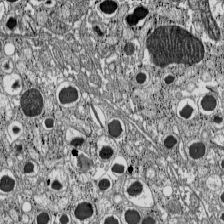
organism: C57BL Mouse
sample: Pancreatic islet